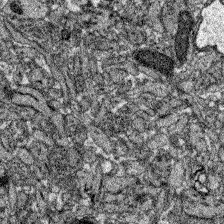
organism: Zebrafish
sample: Larval olfactory bulb